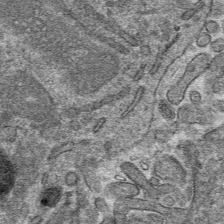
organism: Mouse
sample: Mouse hepatocytes